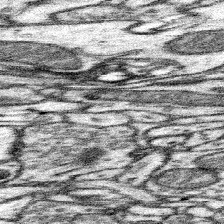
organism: Mouse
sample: Somatosensory cortex neuropil